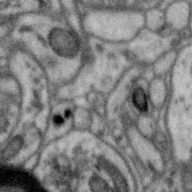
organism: Zebra finch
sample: Brain